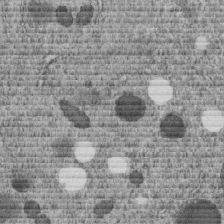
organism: C. elegans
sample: C. elegans embryo early stage